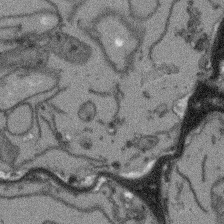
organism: Arabidopsis thaliana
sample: Root tip